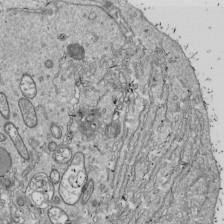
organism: Drosophila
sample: Cell division; meiosis; drosophila spermatocytes